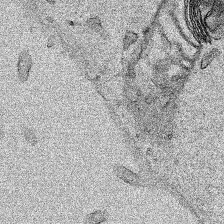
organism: Human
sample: Mitochondria in HCT116 cells